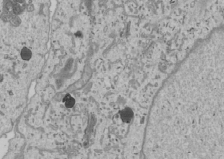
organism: Human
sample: Mitochondria in U2OS cells